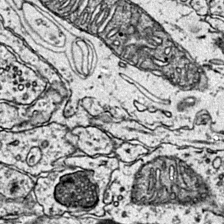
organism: Mouse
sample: Primary visual cortex